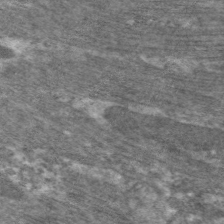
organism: C. elegans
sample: Pharynx